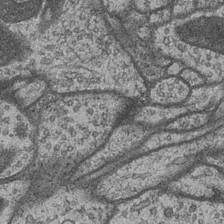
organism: Drosophila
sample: Optic medulla